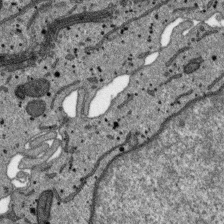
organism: Human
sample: Lung epithelial cells, uninfected (mock) control